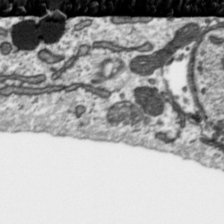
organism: Toxoplasma gondii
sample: Parasites in a vacuole inside a host cell